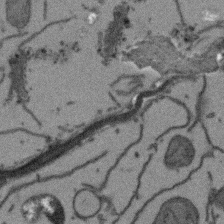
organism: Arabidopsis thaliana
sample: Root tip